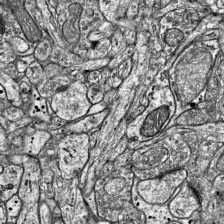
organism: Mouse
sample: Visual Cortex